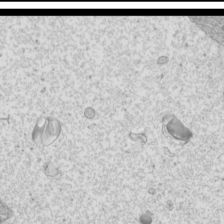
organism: Mouse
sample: Cilia; mouse epididymis